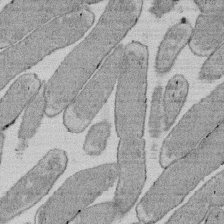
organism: E. coli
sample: Bacterial nucleoid